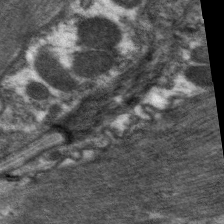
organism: C. elegans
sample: Pharynx